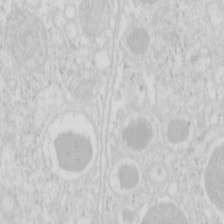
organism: Mouse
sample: Pancreas